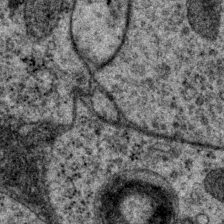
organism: P. pacificus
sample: Pharynx